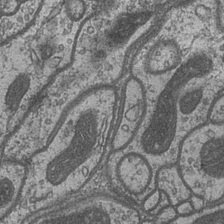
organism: Drosophila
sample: Optic medulla